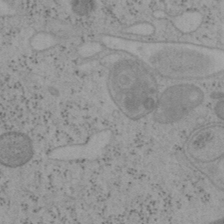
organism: Mouse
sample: OT-I killer T cells with ID8 ovarian cancer cells